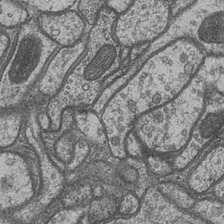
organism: Drosophila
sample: Optic medulla